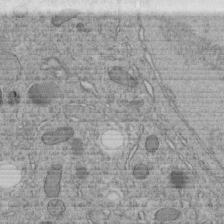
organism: C. elegans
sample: C. elegans embryo early stage